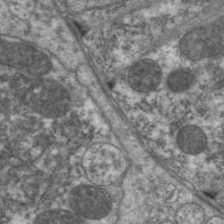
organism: C. elegans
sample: Pharynx